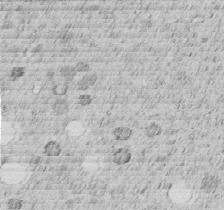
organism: C. elegans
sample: C. elegans embryo early stage